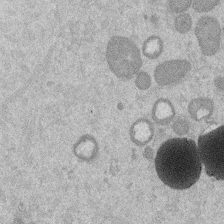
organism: Mouse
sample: Dividing mouse embryo 1 cell stage